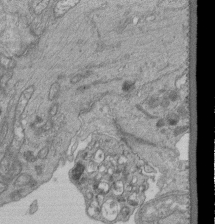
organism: Human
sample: Retinal organoid Rod and Cone cells